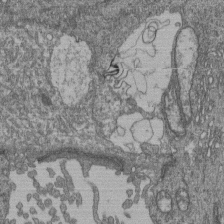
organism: Human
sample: Retinal organoid Rod and Cone cells